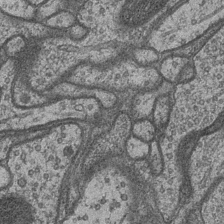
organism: Drosophila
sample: Optic medulla